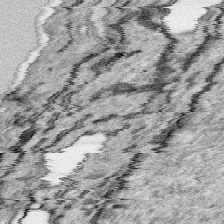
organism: Human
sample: HeLa cells